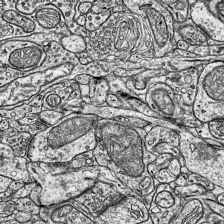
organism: Mouse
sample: Visual Cortex